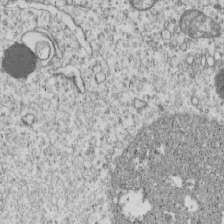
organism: Human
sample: MDA-MB-231 cells